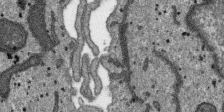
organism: Human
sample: Lung epithelial cells, uninfected (mock) control